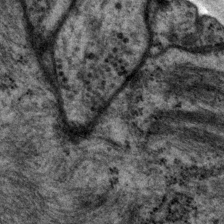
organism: P. pacificus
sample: Pharynx